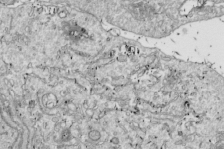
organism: Drosophila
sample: Cell division; meiosis; drosophila spermatocytes